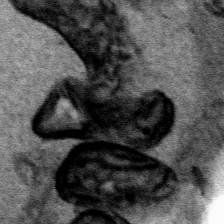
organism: Human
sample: Mitochondria in HCT116 cells